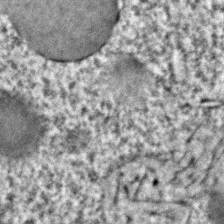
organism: C. elegans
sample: C. elegans embryo